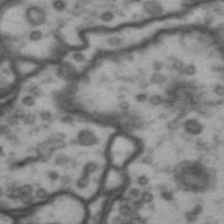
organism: Drosophila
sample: Brain